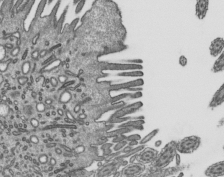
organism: Mouse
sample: Mouse epididymis efferent ductule cilia